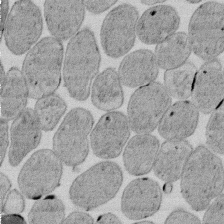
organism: E. coli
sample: Bacterial nucleoid